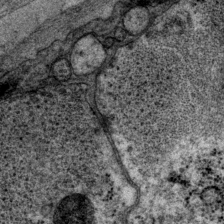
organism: P. pacificus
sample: Pharynx